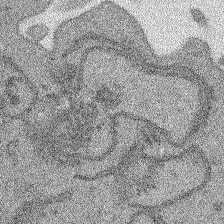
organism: Human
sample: HeLa cells